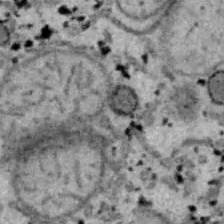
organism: Mouse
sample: Liver from an obese (ob/ob) mouse